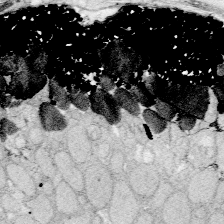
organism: Zebrafish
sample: Whole-Brain